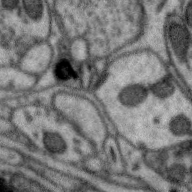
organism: Zebra finch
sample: Brain